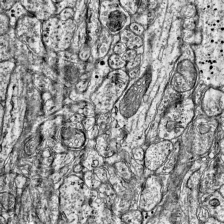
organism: Mouse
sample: Visual Cortex